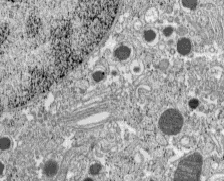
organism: C57BL Mouse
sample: Pancreatic islet